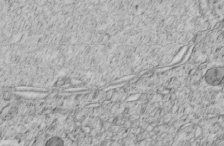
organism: C. elegans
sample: C. elegans embryo early stage